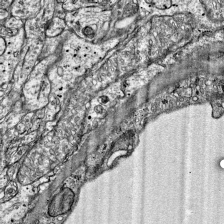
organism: Mouse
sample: Visual Cortex